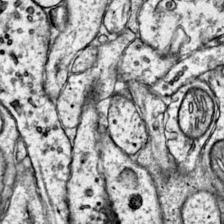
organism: Mouse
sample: Primary visual cortex